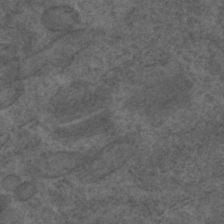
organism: C. elegans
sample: C. elegans embryo